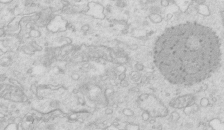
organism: Mouse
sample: Multiciliated cells